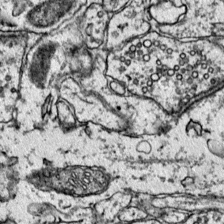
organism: Mouse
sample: Primary visual cortex